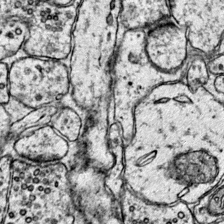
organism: Mouse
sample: Primary visual cortex